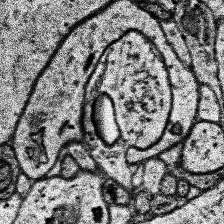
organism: Human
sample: Temporal Lobe